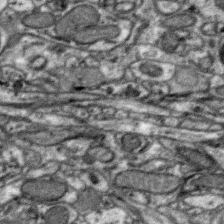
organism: Zebra finch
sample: Brain